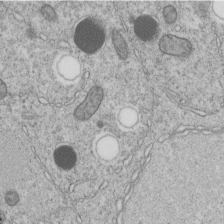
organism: C. elegans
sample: C. elegans embryo early stage